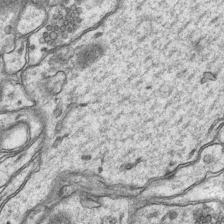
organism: Mouse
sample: CA1 Hippocampus